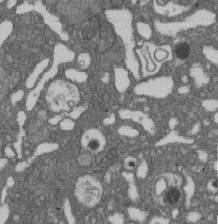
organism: Drosophila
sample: Nephrocyte